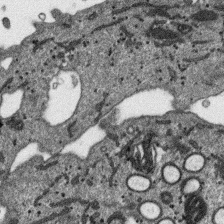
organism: Human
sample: Lung epithelial cells infected with SARS-CoV-2